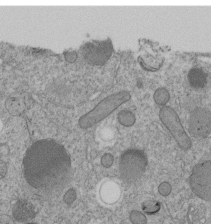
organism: C. elegans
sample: C. elegans embryo early stage